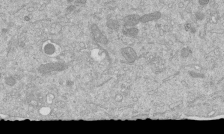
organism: Mouse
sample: ED-1 cell nuclei; centrioles